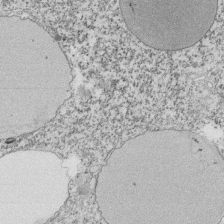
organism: Tetrahymena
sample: Cilia in tetrahymena